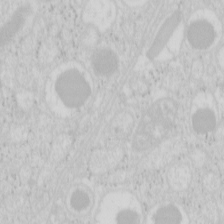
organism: Mouse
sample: Pancreas